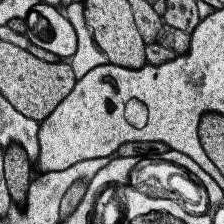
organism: Human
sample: Temporal Lobe